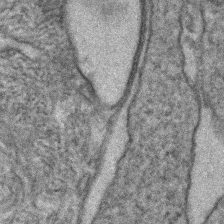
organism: Human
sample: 1205lu cells